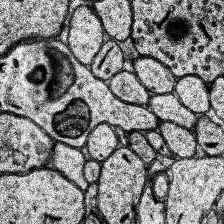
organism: Human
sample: Temporal Lobe